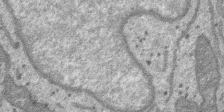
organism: Human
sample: Lung epithelial cells infected with SARS-CoV-2